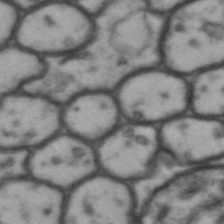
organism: Drosophila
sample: Brain